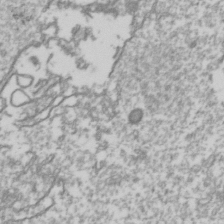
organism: Drosophila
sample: Cell division; meiosis; drosophila spermatocytes